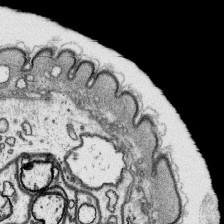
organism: Platynereis dumerilii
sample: Parapodia